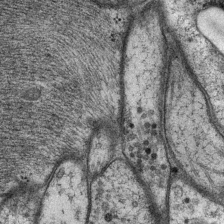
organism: P. pacificus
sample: Pharynx